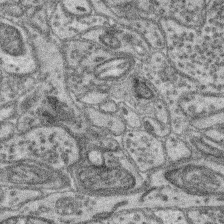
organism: Mouse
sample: Retina